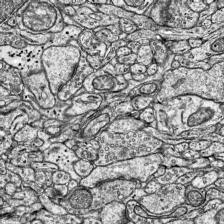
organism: Mouse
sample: Visual Cortex